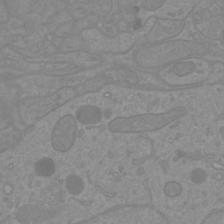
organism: Mouse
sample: Cortical neurons